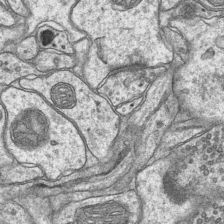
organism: Mouse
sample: CA1 Hippocampus